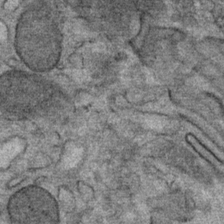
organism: Mouse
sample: Mouse Salivary gland